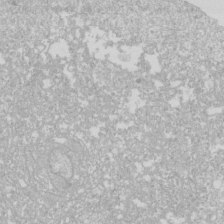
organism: Drosophila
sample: Cell division; meiosis; drosophila spermatocytes